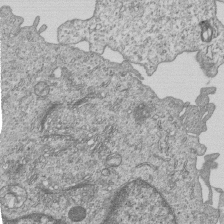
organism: Human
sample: MDA-MB-231 cells